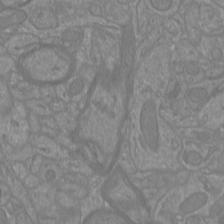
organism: Mouse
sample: Cortical neurons